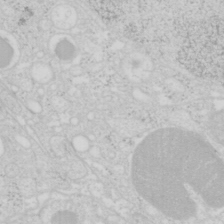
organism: Mouse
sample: Pancreas